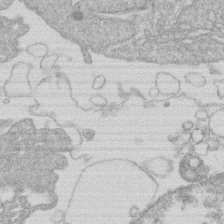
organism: Human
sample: Macrophage cells